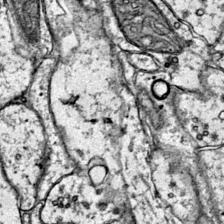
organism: Mouse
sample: Primary visual cortex